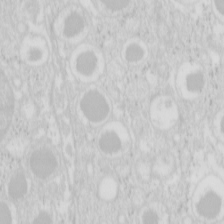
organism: Mouse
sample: Pancreas